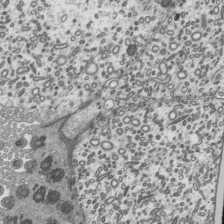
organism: Mouse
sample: Mouse epididymis efferent ductule cilia